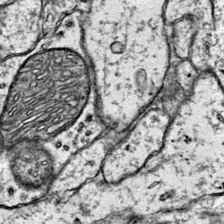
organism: Mouse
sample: Primary visual cortex